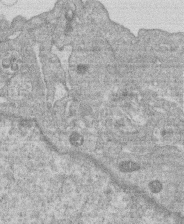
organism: Human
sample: Macrophage cells